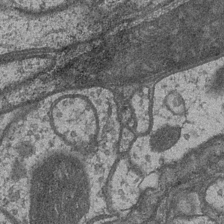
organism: Drosophila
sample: Optic medulla